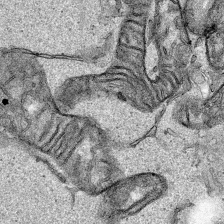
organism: Human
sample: Mitochondria in HCT116 cells